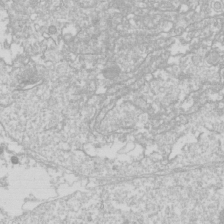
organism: Drosophila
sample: Cell division; meiosis; drosophila spermatocytes